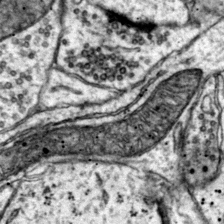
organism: Mouse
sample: Primary visual cortex